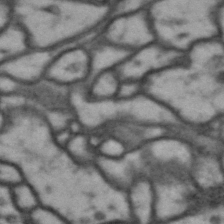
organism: Drosophila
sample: Brain